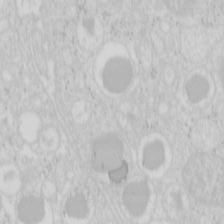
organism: Mouse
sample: Pancreas